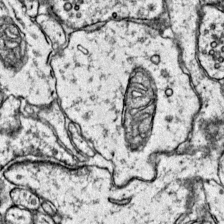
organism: Mouse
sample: Primary visual cortex